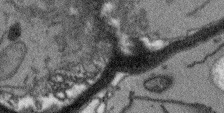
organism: Arabidopsis thaliana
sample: Root tip